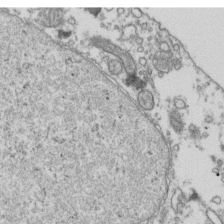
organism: Human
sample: Activated Jurkat CD4+ T cells